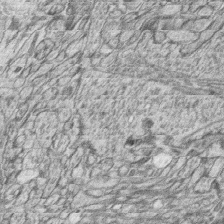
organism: Zebrafish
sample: synaptic ribbons in rod cells and cone cells